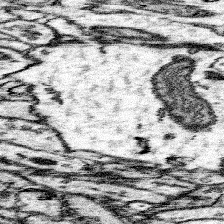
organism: Mouse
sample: Somatosensory cortex neuropil